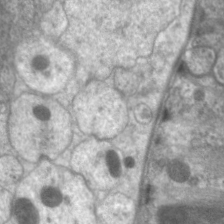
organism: C. elegans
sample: Pharynx